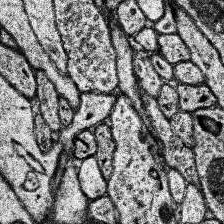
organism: Human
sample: Temporal Lobe